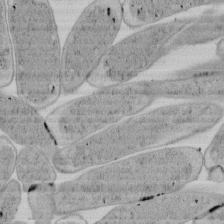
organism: E. coli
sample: Bacterial nucleoid